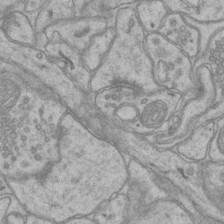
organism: Mouse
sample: CA1 Hippocampus